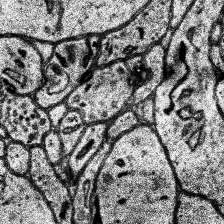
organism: Human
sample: Temporal Lobe